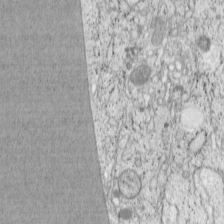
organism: African green monkey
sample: COS-7 cells